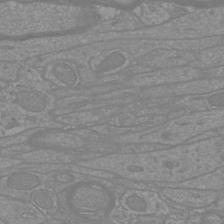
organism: Mouse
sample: Cortical neurons